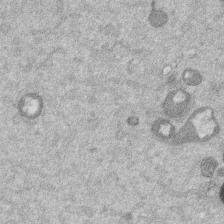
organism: Mouse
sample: Dividing mouse embryo 1 cell stage